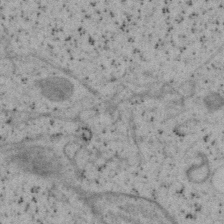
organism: Human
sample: HeLa cells